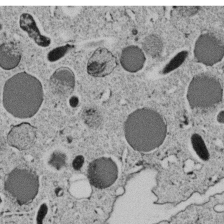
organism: C. elegans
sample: C. elegans embryo early stage